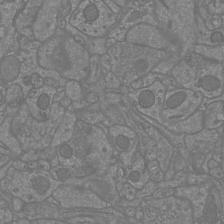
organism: Mouse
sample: Cortical neurons